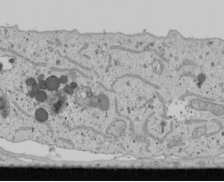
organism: Human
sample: Mitochondria in U2OS cells